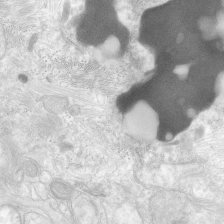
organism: Human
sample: Neocortex